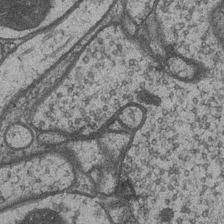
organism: Drosophila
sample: Optic medulla